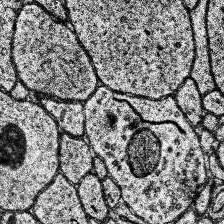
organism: Human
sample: Temporal Lobe